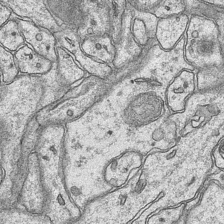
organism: Mouse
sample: CA1 Hippocampus